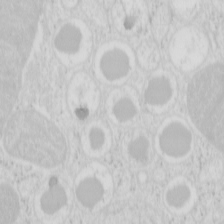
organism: Mouse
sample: Pancreas